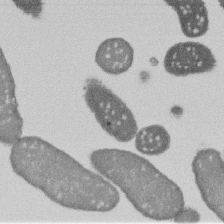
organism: E. coli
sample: Bacterial nucleoid